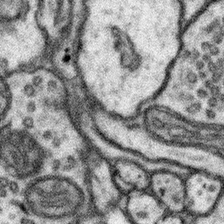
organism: Mouse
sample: Somatosensory cortex neuropil